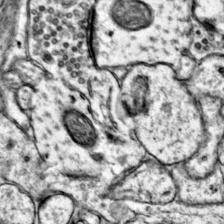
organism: Mouse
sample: Primary visual cortex